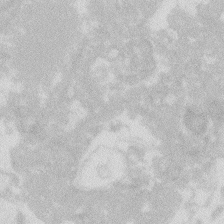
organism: Zebrafish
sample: Macrophage